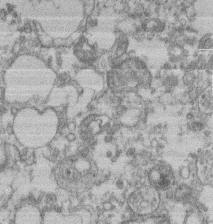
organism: Mouse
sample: T cell stromal cell synapse